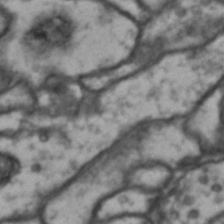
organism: Drosophila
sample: Brain